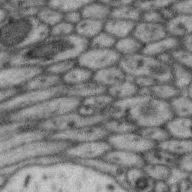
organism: Zebra finch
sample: Brain